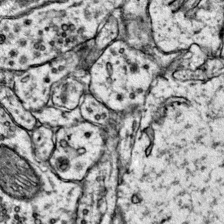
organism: Mouse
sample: Primary visual cortex